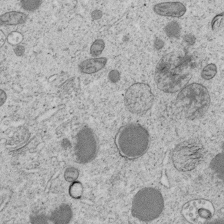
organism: C. elegans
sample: C. elegans embryo early stage